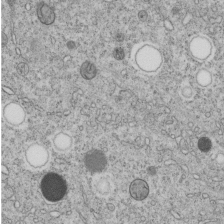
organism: C. elegans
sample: C. elegans embryo early stage